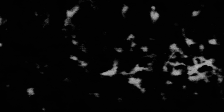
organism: Human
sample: Lung epithelial cells, uninfected (mock) control